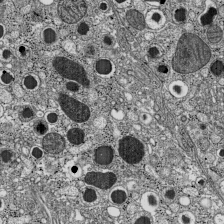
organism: C57BL Mouse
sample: Pancreatic islet